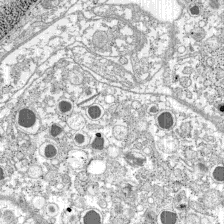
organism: C57BL Mouse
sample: Pancreatic islet